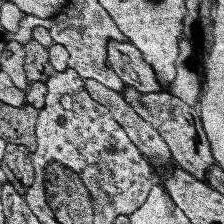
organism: Human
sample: Temporal Lobe